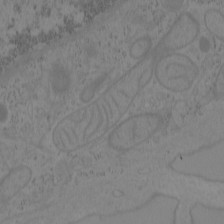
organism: Human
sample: HeLa cells